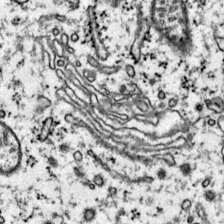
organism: Mouse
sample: Primary visual cortex